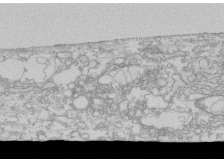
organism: Human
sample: CRL-1474